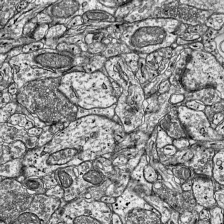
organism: Mouse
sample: Visual Cortex